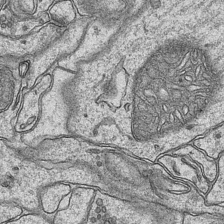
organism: Mouse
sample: CA1 Hippocampus